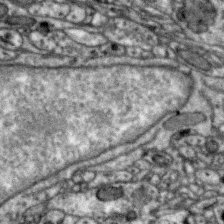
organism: Zebra finch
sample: Brain